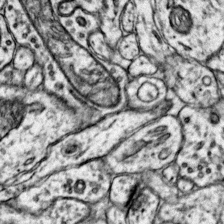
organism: Mouse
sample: Primary visual cortex